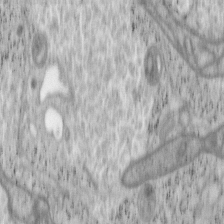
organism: Human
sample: HeLa cells